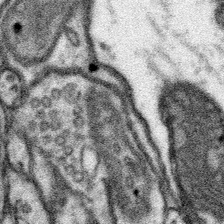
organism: Mouse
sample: Somatosensory cortex neuropil